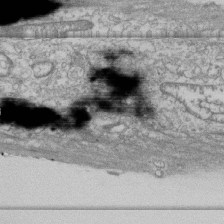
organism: Human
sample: Fibroblast cells